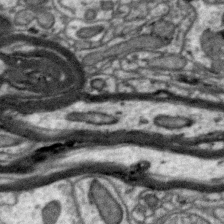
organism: Zebra finch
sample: Brain